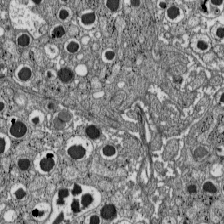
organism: C57BL Mouse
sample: Pancreatic islet